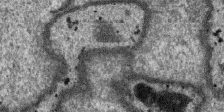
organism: Human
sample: Lung epithelial cells, uninfected (mock) control